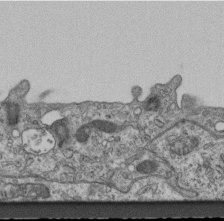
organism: Mouse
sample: Centriole in ependymal cells